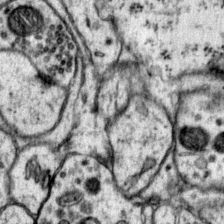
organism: Mouse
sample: Primary visual cortex